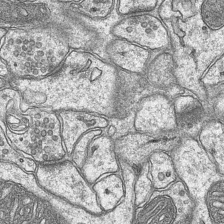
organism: Mouse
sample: CA1 Hippocampus